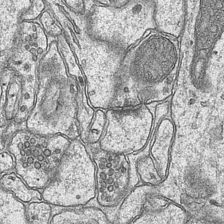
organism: Mouse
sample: CA1 Hippocampus